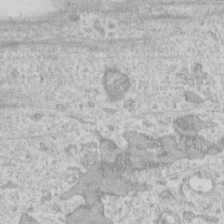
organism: Human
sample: Fibroblast cells